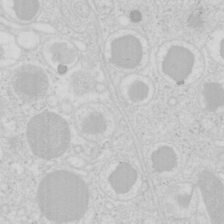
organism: Mouse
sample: Pancreas